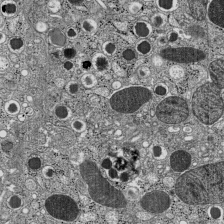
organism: C57BL Mouse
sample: Pancreatic islet